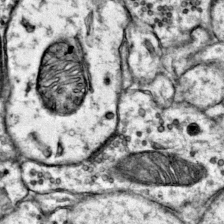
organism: Mouse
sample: Primary visual cortex